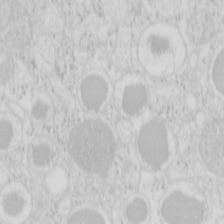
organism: Mouse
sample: Pancreas